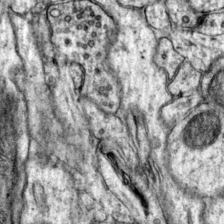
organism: Mouse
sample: Primary visual cortex